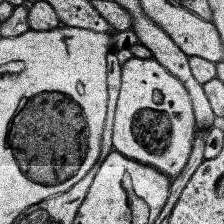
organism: Human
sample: Temporal Lobe